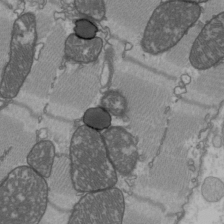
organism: C57BL Mouse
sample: Heart